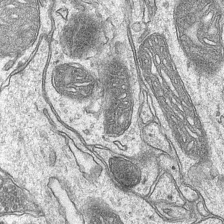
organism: Mouse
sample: CA1 Hippocampus